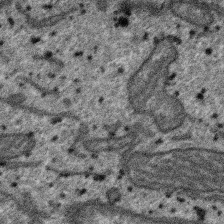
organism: Human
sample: Lung epithelial cells infected with SARS-CoV-2